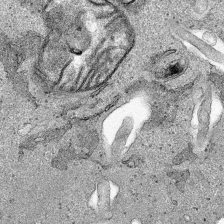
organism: Human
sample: Mitochondria in HCT116 cells